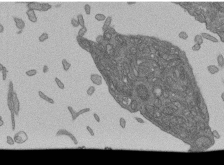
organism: Human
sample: Retinal organoid Rod and Cone cells